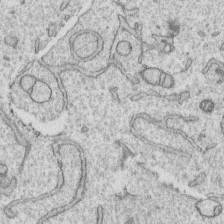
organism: Human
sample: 1205lu cells